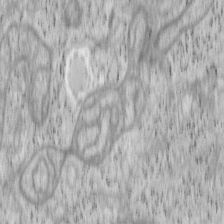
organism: Human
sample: HeLa cells